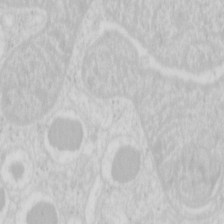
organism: Mouse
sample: Pancreas